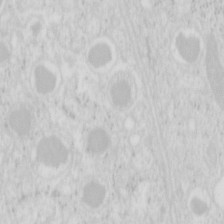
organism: Mouse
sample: Pancreas